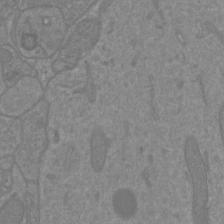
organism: Mouse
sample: Cortical neurons